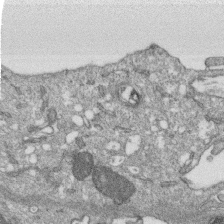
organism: African green monkey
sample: Vero E6 cells infected with SARS-CoV-2